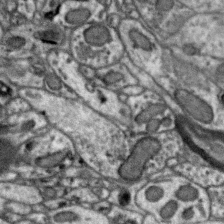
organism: Zebra finch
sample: Brain